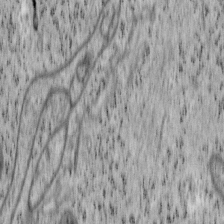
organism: Human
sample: HeLa cells